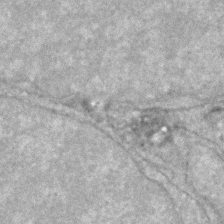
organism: Zebrafish